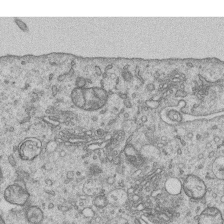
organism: Human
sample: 1205lu cells